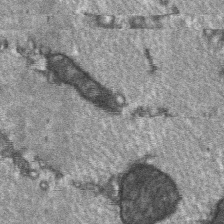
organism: C57BL Mouse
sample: Soleus